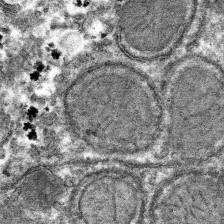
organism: Mouse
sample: Mouse hepatocytes